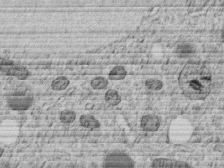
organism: C. elegans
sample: C. elegans embryo early stage